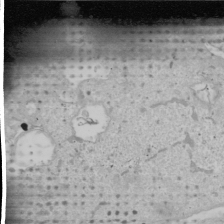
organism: Human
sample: Mitochondria in U2OS cells